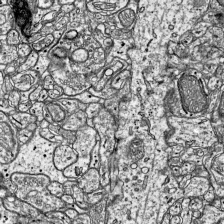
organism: Mouse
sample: Visual Cortex